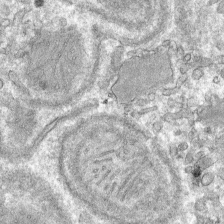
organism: Mouse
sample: Mouse hepatocytes